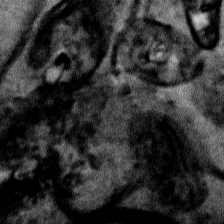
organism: Human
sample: Mitochondria in HCT116 cells